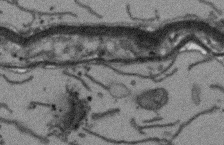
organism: Arabidopsis thaliana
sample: Root tip